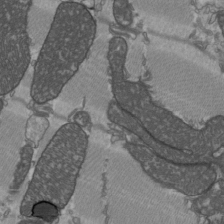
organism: C57BL Mouse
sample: Heart